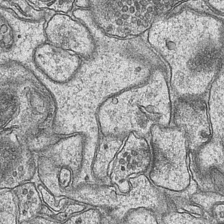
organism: Mouse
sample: CA1 Hippocampus